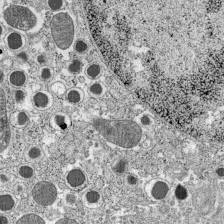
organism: C57BL Mouse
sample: Pancreatic islet